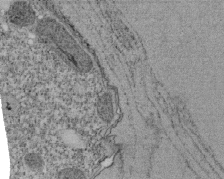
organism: Tetrahymena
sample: Cilia in tetrahymena